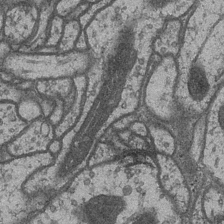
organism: Drosophila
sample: Optic medulla